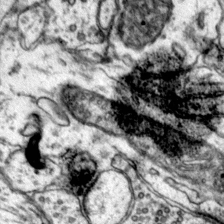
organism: Mouse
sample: Primary visual cortex